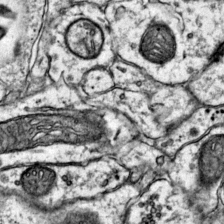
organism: Mouse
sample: Primary visual cortex